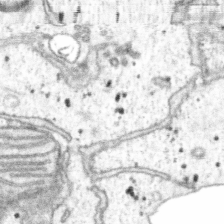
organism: Human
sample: HeLa cells